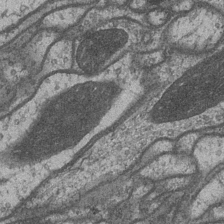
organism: Drosophila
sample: Optic medulla